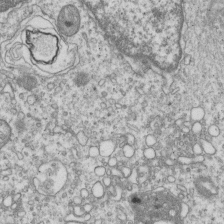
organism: Human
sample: MDA-MB-231 cells